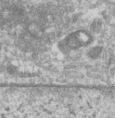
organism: Human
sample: Centriole in RPE cells